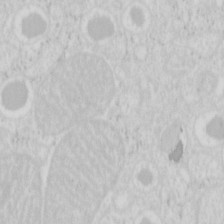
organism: Mouse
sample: Pancreas